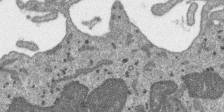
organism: Human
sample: Lung epithelial cells infected with SARS-CoV-2